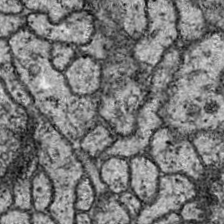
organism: Drosophila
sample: Ventral Nerve Cord